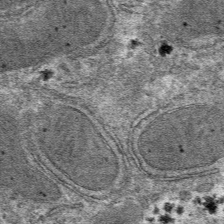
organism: Mouse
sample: Mouse hepatocytes